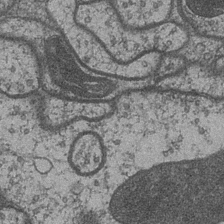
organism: Drosophila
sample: Optic medulla